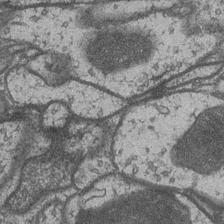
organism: Drosophila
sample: Optic medulla